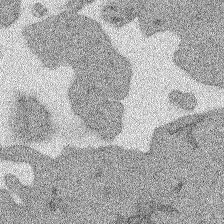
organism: Human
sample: HeLa cells